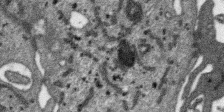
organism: Human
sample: Lung epithelial cells infected with SARS-CoV-2